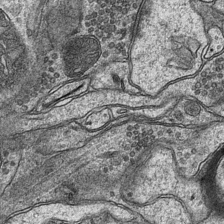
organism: Mouse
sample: CA1 Hippocampus